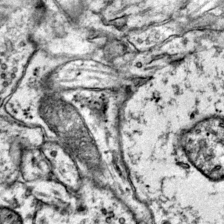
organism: Mouse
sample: Primary visual cortex